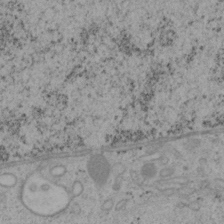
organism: Human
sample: HeLa cells